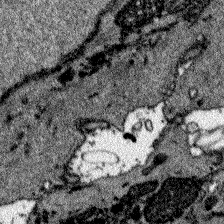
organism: Zebrafish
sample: Larval olfactory bulb